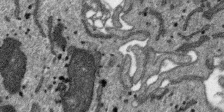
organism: Human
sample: Lung epithelial cells, uninfected (mock) control